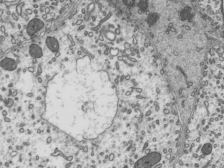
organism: Mouse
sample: Mouse epididymis efferent ductule cilia